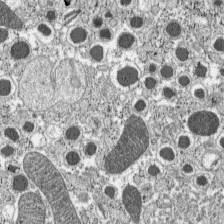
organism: C57BL Mouse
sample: Pancreatic islet